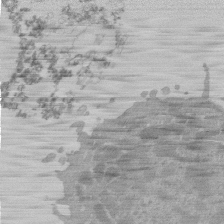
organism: Mouse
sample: Activated Pmel transgenic CD8+ T Cells